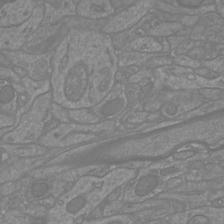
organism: Mouse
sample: Cortical neurons